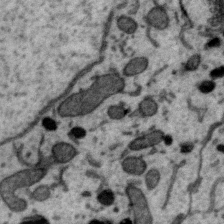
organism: Zebra finch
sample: Brain